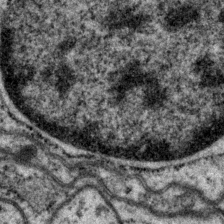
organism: P. pacificus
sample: Pharynx